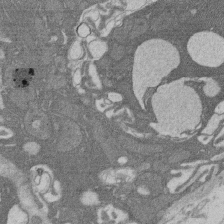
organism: Rat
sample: Salivary granule